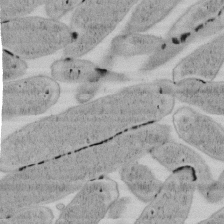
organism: E. coli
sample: Bacterial nucleoid